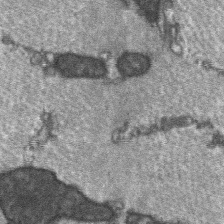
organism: C57BL Mouse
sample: Soleus